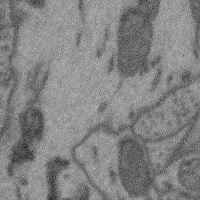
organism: Mouse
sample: Cerebral cortex